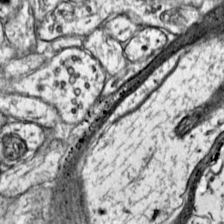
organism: Mouse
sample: Primary visual cortex